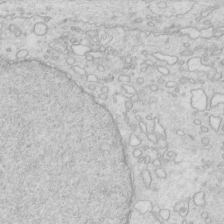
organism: Mouse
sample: Multiciliated cells